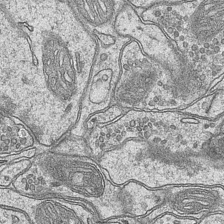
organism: Mouse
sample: CA1 Hippocampus